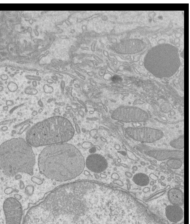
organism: Mouse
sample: Cilia; mouse epididymis